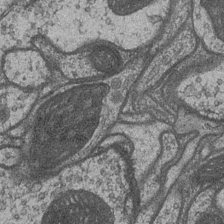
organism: Drosophila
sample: Optic medulla